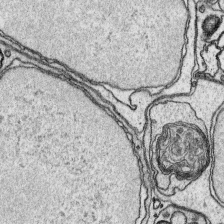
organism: Platynereis dumerilii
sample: Parapodia